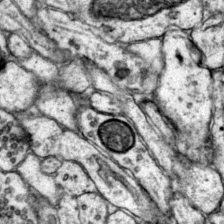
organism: Mouse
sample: Primary visual cortex